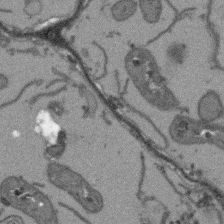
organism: Arabidopsis thaliana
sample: Root tip